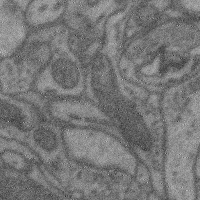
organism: Mouse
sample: Cerebral cortex